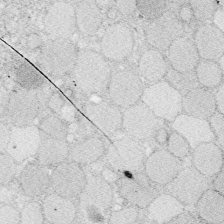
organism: Zebrafish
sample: Whole-Brain